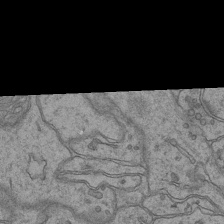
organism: Mouse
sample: CA1 Hippocampus